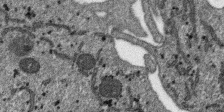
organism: Human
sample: Lung epithelial cells infected with SARS-CoV-2